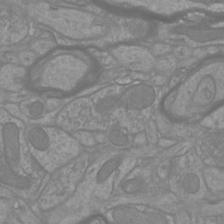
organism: Mouse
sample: Cortical neurons